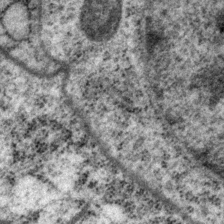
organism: P. pacificus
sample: Pharynx